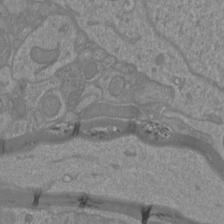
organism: Mouse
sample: Cortical neurons